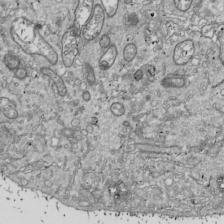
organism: Drosophila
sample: Cell division; meiosis; drosophila spermatocytes